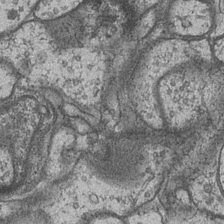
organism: Drosophila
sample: Optic medulla